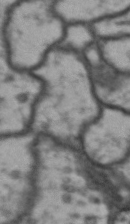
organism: Drosophila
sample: Brain